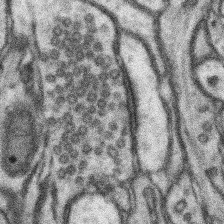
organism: Mouse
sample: Somatosensory cortex neuropil